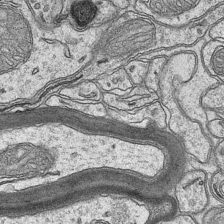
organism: Mouse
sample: CA1 Hippocampus